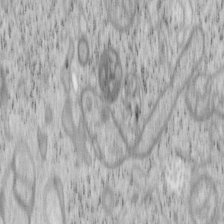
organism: Human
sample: HeLa cells